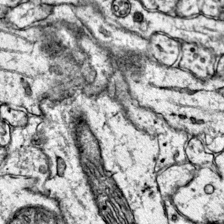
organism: Mouse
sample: Primary visual cortex